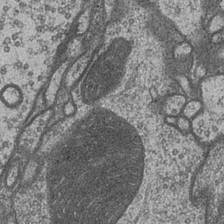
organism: Drosophila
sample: Optic medulla